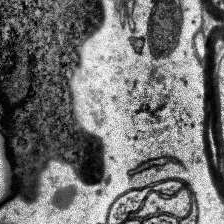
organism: Human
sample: Temporal Lobe